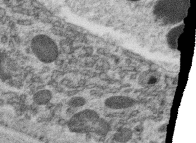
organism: C. elegans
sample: C. elegans oocyte; sperm cells